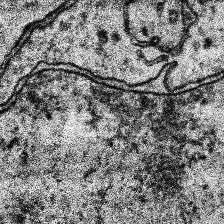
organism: Human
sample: Temporal Lobe